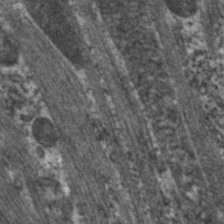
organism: C. elegans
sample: Pharynx